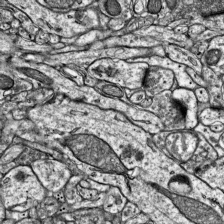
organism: Mouse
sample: Visual Cortex